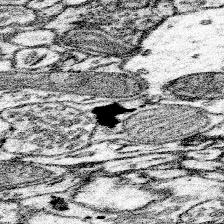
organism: Mouse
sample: Somatosensory cortex neuropil